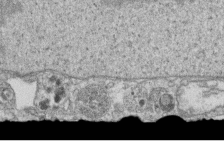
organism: Human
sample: HeLa cell HIV synapse